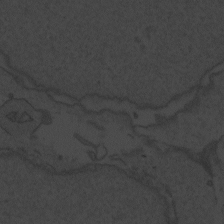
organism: Zebrafish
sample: Macrophage infected with Toxoplasma gondii